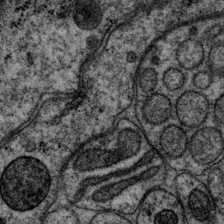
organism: P. pacificus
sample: Pharynx